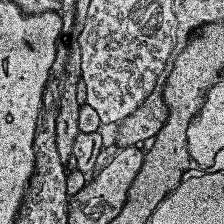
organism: Human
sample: Temporal Lobe